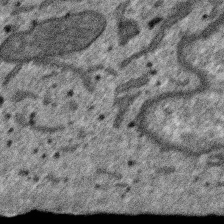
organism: Human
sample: Lung epithelial cells infected with SARS-CoV-2